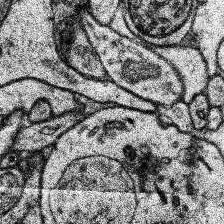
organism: Human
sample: Temporal Lobe